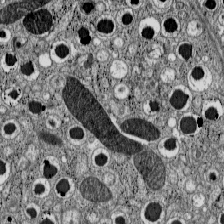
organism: C57BL Mouse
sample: Pancreatic islet